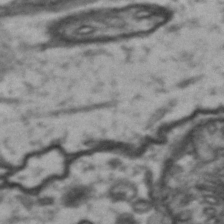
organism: Drosophila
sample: Brain